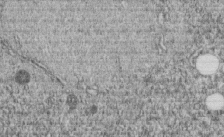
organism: C. elegans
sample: C. elegans embryo early stage